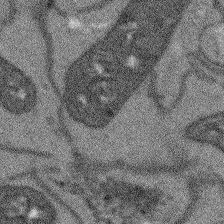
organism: Arabidopsis thaliana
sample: Root tip